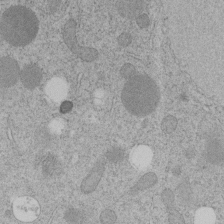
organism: C. elegans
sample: C. elegans embryo early stage